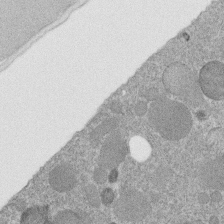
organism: C. elegans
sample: C. elegans embryo early stage